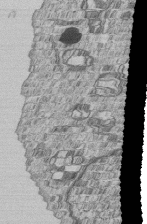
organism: Human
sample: MDA-MB-231 cells